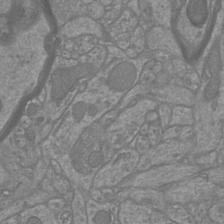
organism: Mouse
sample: Cortical neurons